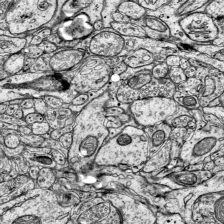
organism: Mouse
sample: Visual Cortex